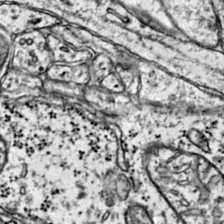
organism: Mouse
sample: Primary visual cortex